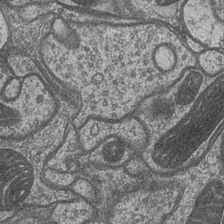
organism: Drosophila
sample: Optic medulla